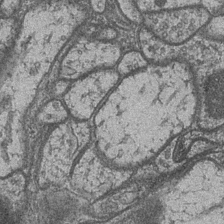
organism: Drosophila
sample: Optic medulla